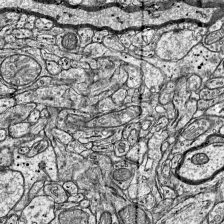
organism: Mouse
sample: Visual Cortex